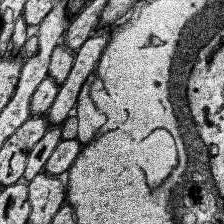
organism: Human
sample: Temporal Lobe